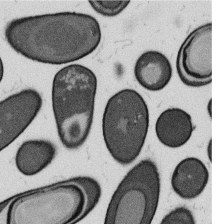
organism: B. subtilis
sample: Bacterial spore